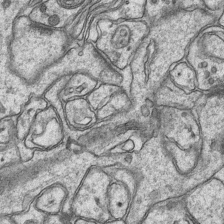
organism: Mouse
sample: CA1 Hippocampus